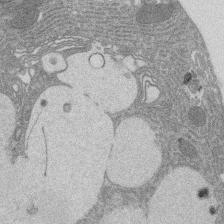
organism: Rat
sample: Salivary granule